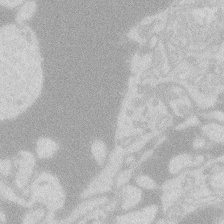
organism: Zebrafish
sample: Macrophage